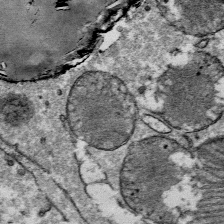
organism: Mouse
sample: Mouse Salivary gland